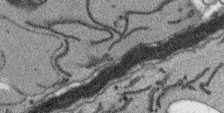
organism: Arabidopsis thaliana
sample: Root tip